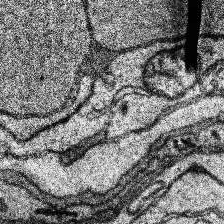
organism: Human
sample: Temporal Lobe